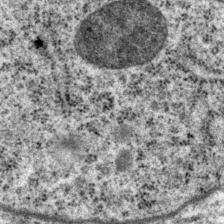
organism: P. pacificus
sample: Pharynx